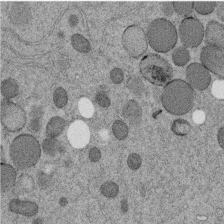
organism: C. elegans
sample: C. elegans embryo early stage